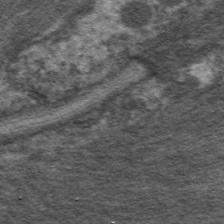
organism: C. elegans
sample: Pharynx